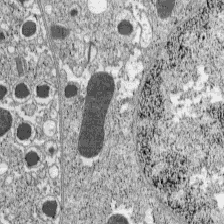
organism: C57BL Mouse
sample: Pancreatic islet